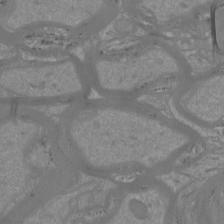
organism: Mouse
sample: Cortical neurons